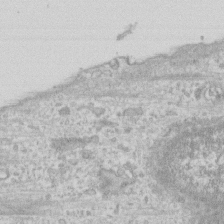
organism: Human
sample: Fibroblast cells